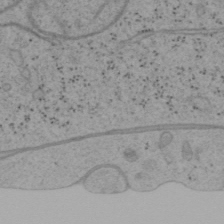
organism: Human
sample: HeLa cells